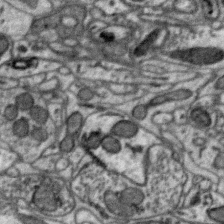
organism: Zebra finch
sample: Brain